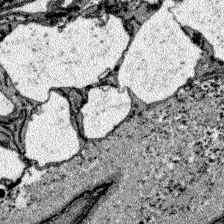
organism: Zebrafish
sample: Larval olfactory bulb